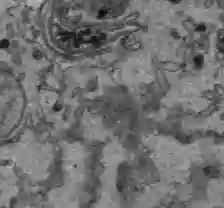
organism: C57BL Mouse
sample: Liver